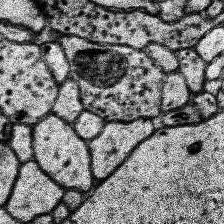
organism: Human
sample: Temporal Lobe